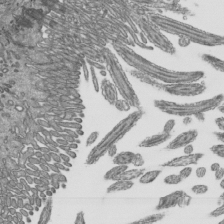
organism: Mouse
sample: Mouse epididymis efferent ductule cilia